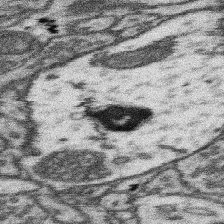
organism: Mouse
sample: Somatosensory cortex neuropil